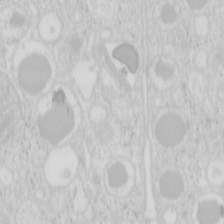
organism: Mouse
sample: Pancreas